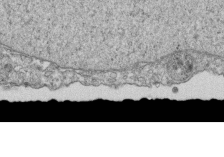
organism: Human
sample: HeLa cell HIV synapse